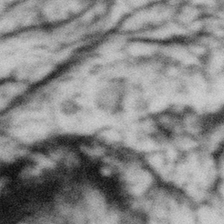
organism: Gemmata obscuriglobus